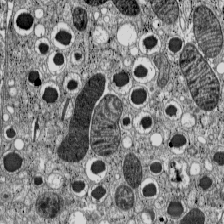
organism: C57BL Mouse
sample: Pancreatic islet